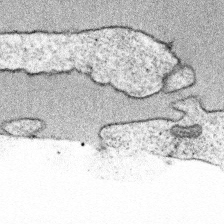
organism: Human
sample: HeLa cells